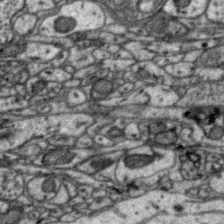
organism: Zebra finch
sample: Brain